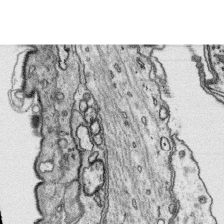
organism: Platynereis dumerilii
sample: Parapodia